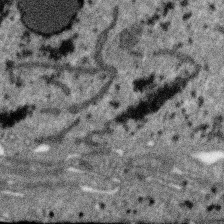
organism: Human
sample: Lung epithelial cells infected with SARS-CoV-2